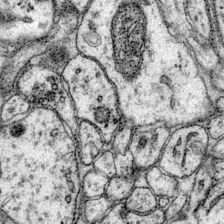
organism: Mouse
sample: Primary visual cortex